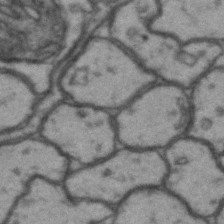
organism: Drosophila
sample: Brain